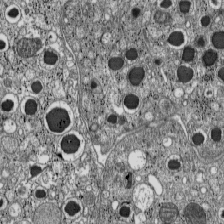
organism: C57BL Mouse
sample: Pancreatic islet